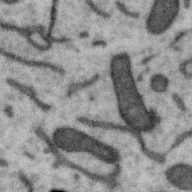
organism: Zebra finch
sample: Brain